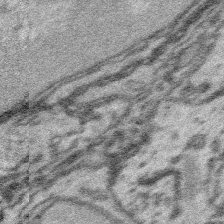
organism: Platynereis dumerilii